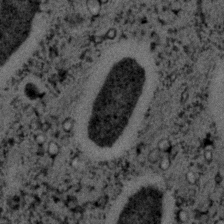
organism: C. elegans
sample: C. elegans embryo